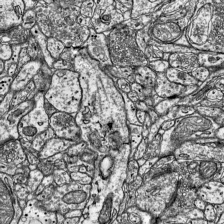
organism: Mouse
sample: Visual Cortex